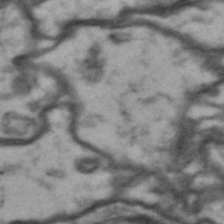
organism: Drosophila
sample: Brain